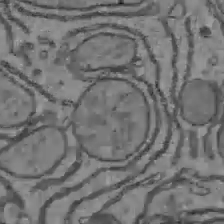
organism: C57BL Mouse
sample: Liver